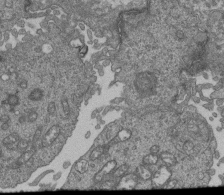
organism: Human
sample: Retinal organoid Rod and Cone cells